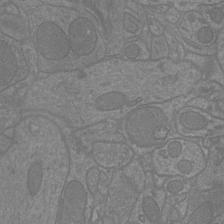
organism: Mouse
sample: Cortical neurons